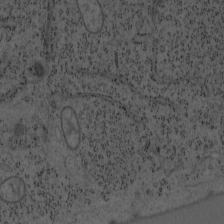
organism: Mouse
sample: OT-I killer T cells with ID8 ovarian cancer cells